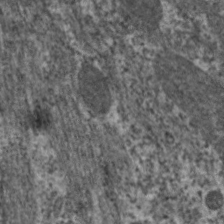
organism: C. elegans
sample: Pharynx